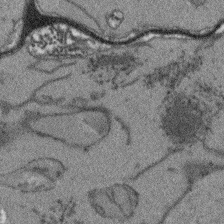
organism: Arabidopsis thaliana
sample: Root tip